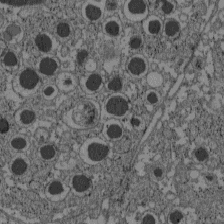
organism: C57BL Mouse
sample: Pancreatic islet